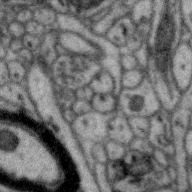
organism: Zebra finch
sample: Brain